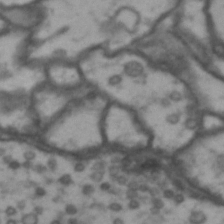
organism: Drosophila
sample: Brain